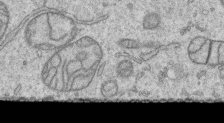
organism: Human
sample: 1205lu cells